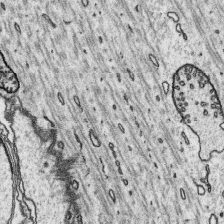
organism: Platynereis dumerilii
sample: Parapodia